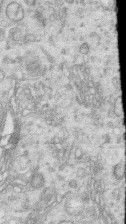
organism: Human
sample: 1205lu cells